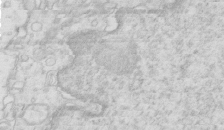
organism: Mouse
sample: Multiciliated cells